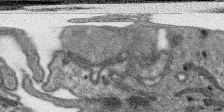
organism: Human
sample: Lung epithelial cells infected with SARS-CoV-2